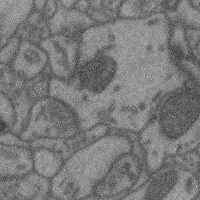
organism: Mouse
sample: Cerebral cortex